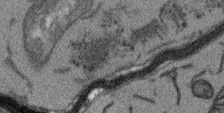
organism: Arabidopsis thaliana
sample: Root tip